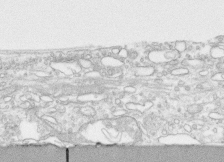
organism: Human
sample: CRL-1474